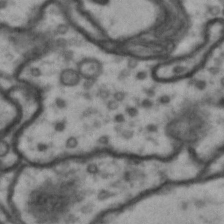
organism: Drosophila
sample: Brain